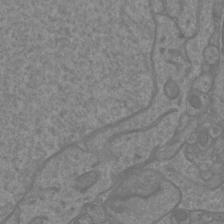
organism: Mouse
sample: Cortical neurons